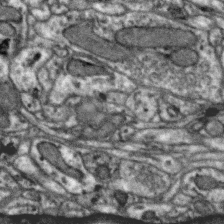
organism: Zebra finch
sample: Brain